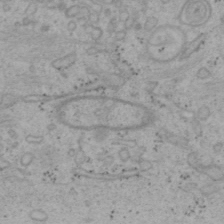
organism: Human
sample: HeLa cells